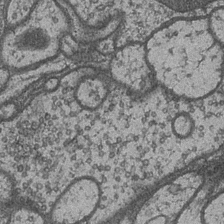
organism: Drosophila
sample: Optic medulla